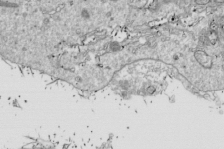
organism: Drosophila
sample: Cell division; meiosis; drosophila spermatocytes